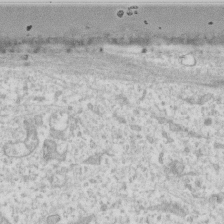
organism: Human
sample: Fibroblast cells